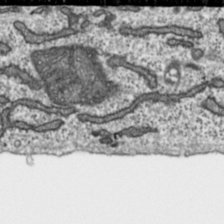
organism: Toxoplasma gondii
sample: Parasites in a vacuole inside a host cell